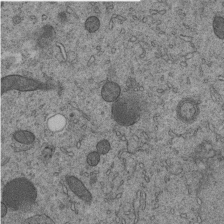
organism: C. elegans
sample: C. elegans embryo early stage